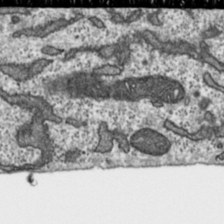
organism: Toxoplasma gondii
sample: Parasites in a vacuole inside a host cell